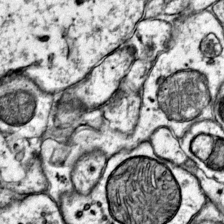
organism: Mouse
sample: Primary visual cortex